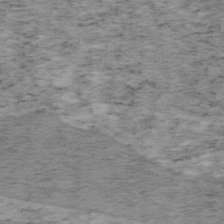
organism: Mouse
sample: OT-I killer T cells with ID8 ovarian cancer cells